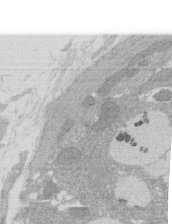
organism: Rat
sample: Salivary granule